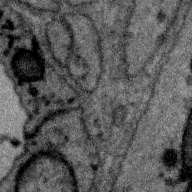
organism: Zebra finch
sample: Brain